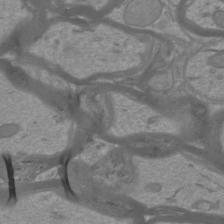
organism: Mouse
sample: Cortical neurons